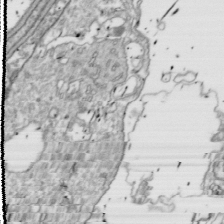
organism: Drosophila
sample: Cell division; meiosis; drosophila spermatocytes